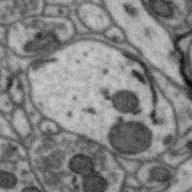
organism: Zebra finch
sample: Brain